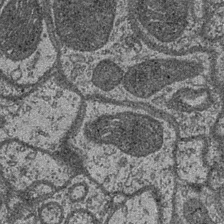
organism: Drosophila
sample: Optic medulla